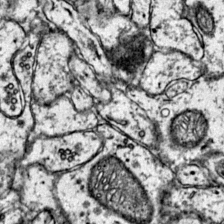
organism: Mouse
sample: Primary visual cortex